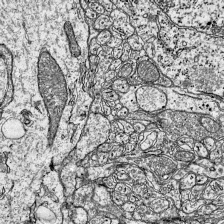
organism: Mouse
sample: Visual Cortex